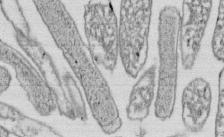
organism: E. coli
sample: Bacterial nucleoid